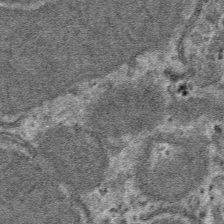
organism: Mouse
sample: Mouse hepatocytes